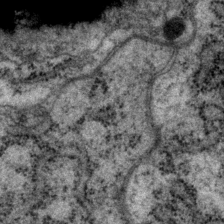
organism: P. pacificus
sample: Pharynx